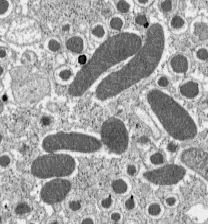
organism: C57BL Mouse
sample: Pancreatic islet